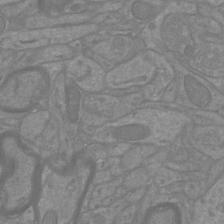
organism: Mouse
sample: Cortical neurons